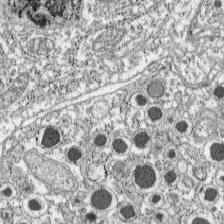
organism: C57BL Mouse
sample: Pancreatic islet